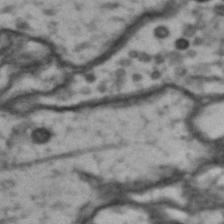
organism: Drosophila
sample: Brain